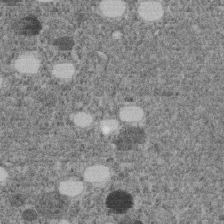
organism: C. elegans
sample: C. elegans embryo early stage